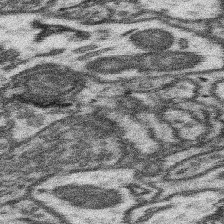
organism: Mouse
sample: Somatosensory cortex neuropil